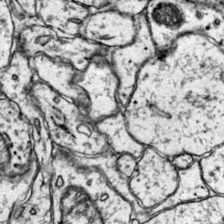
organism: Mouse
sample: Primary visual cortex